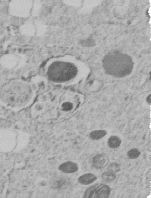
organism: C. elegans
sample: C. elegans embryo early stage